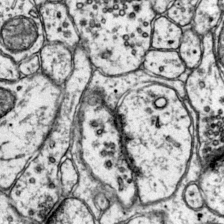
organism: Mouse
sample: Primary visual cortex